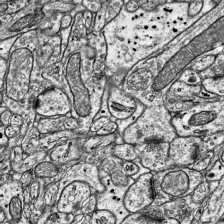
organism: Mouse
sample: Visual Cortex